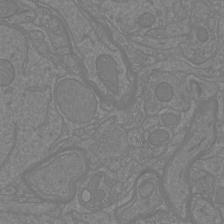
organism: Mouse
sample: Cortical neurons